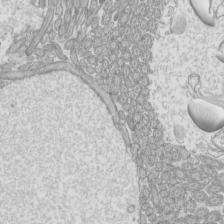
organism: Mouse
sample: Cilia; mouse epididymis